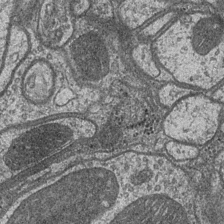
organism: Drosophila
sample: Optic medulla